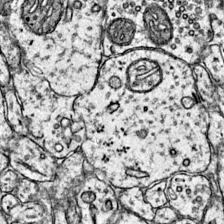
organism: Mouse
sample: Primary visual cortex